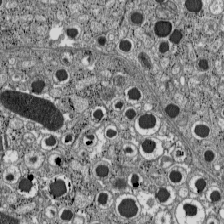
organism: C57BL Mouse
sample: Pancreatic islet